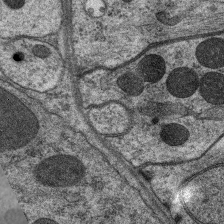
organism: C. elegans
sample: Pharynx